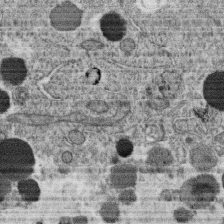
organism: C. elegans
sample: C. elegans oocyte; sperm cells